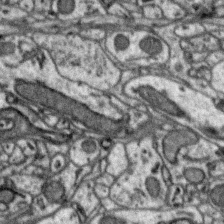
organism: Zebra finch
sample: Brain